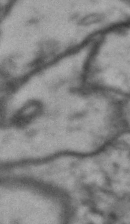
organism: Drosophila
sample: Brain